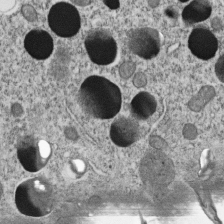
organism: C. elegans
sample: C. elegans embryo early stage